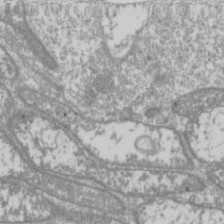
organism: Drosophila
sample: Cell division; meiosis; drosophila spermatocytes